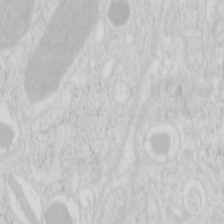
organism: Mouse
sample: Pancreas